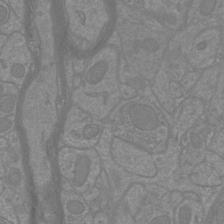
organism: Mouse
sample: Cortical neurons